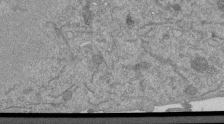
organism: Mouse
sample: ED-1 cell nuclei; centrioles